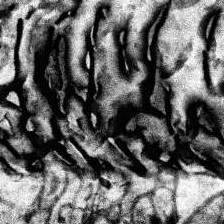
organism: Human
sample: Temporal Lobe